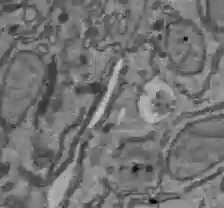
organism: C57BL Mouse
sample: Liver